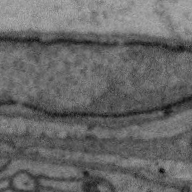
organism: Zebra finch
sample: Brain